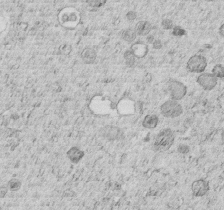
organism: C. elegans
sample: C. elegans embryo early stage